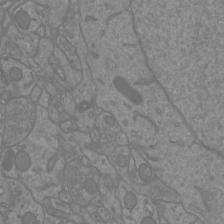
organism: Mouse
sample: Cortical neurons